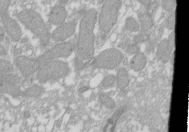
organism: Xenopus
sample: Cilia; centrioles in frog embryo cells